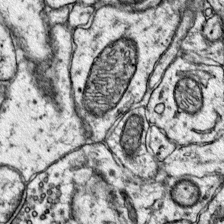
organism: Mouse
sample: Primary visual cortex